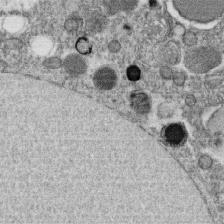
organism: C. elegans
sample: C. elegans oocyte; sperm cells